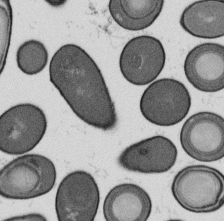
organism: B. subtilis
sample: Bacterial spore